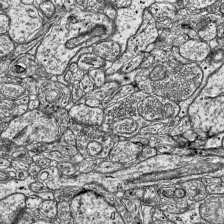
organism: Mouse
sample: Visual Cortex